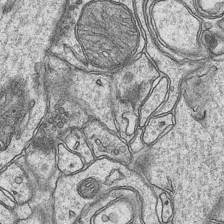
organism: Mouse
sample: CA1 Hippocampus